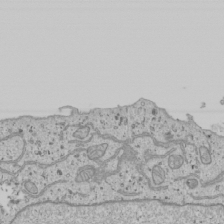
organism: Human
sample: Mitochondria in U2OS cells